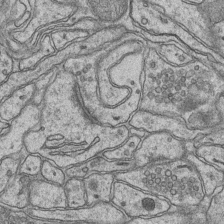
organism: Mouse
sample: CA1 Hippocampus